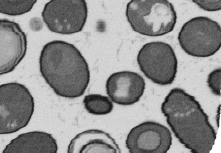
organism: B. subtilis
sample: Bacterial spore